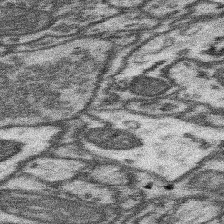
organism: Mouse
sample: Somatosensory cortex neuropil